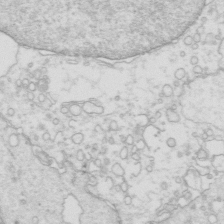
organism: Mouse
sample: Multiciliated cells